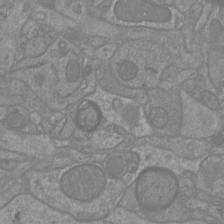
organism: Mouse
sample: Cortical neurons